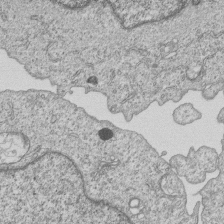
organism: Human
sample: MDA-MB-231 cells